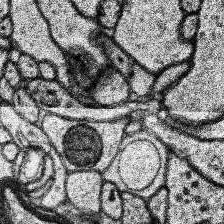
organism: Human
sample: Temporal Lobe